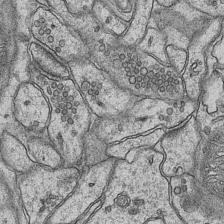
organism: Mouse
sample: CA1 Hippocampus